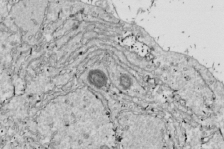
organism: Drosophila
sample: Cell division; meiosis; drosophila spermatocytes